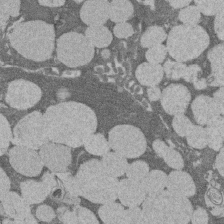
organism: Rat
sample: Salivary granule